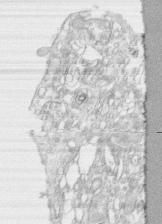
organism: Human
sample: CRL-1474